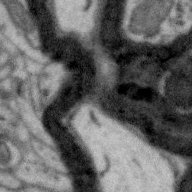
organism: Zebra finch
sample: Brain